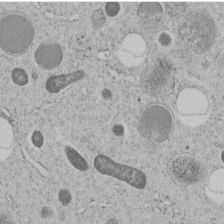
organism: C. elegans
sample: C. elegans embryo early stage